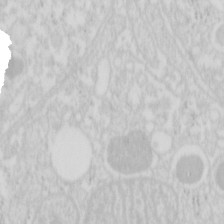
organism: Mouse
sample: Pancreas